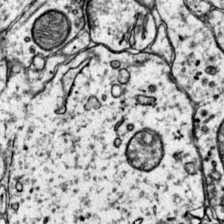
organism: Mouse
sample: Primary visual cortex